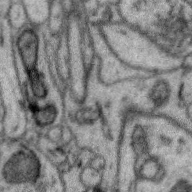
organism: Zebra finch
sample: Brain